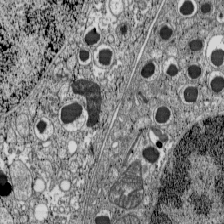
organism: C57BL Mouse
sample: Pancreatic islet